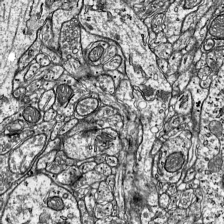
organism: Mouse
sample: Visual Cortex